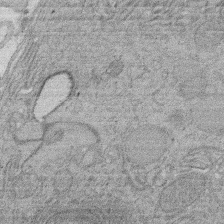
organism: Rat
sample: Salivary granule